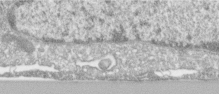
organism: Human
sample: Centriole in RPE cells